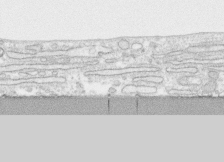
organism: Human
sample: CRL-1474